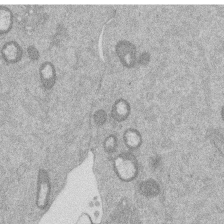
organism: Mouse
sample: Dividing mouse embryo 1 cell stage